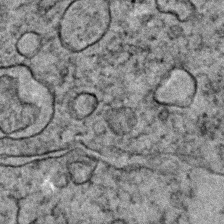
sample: Trachea